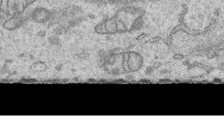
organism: Human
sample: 1205lu cells